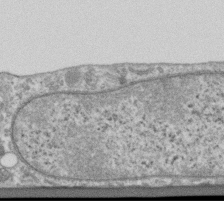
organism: Human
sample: Centriole in RPE cells